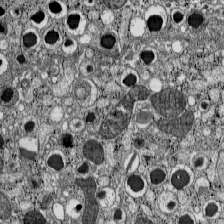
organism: C57BL Mouse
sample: Pancreatic islet